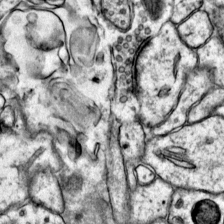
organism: Mouse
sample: Primary visual cortex